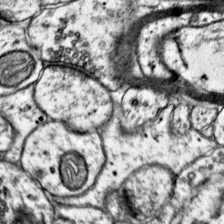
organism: Mouse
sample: Primary visual cortex